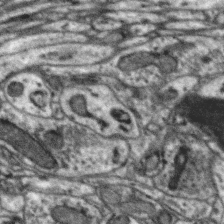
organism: Zebra finch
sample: Brain